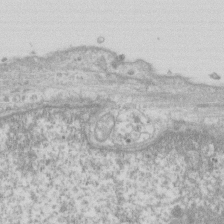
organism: Human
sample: Fibroblast cells